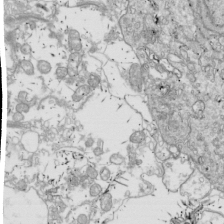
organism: Drosophila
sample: Cell division; meiosis; drosophila spermatocytes